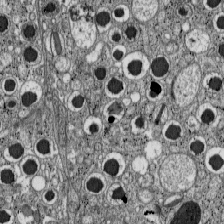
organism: C57BL Mouse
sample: Pancreatic islet